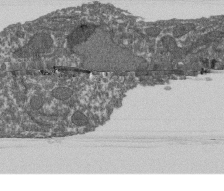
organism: Dictyostelium discoideum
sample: Dictyostelium multivesicular bodies